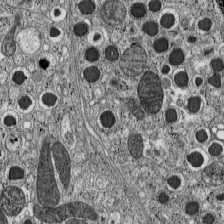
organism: C57BL Mouse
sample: Pancreatic islet